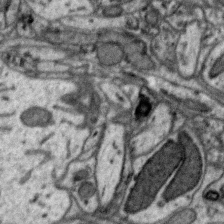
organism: Zebra finch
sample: Brain